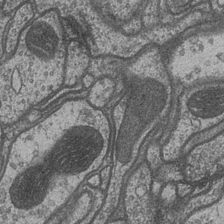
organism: Drosophila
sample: Optic medulla